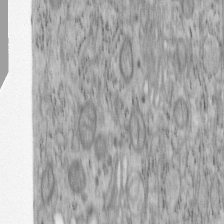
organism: Human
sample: HeLa cells